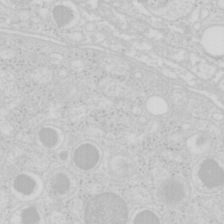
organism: Mouse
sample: Pancreas